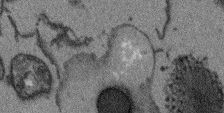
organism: Arabidopsis thaliana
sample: Root tip